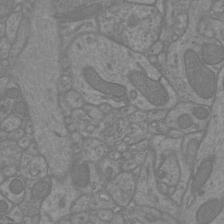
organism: Mouse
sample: Cortical neurons